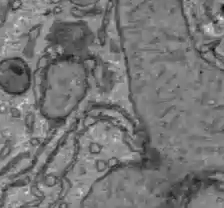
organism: C57BL Mouse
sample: Liver